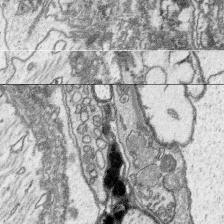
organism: Platynereis dumerilii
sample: Parapodia